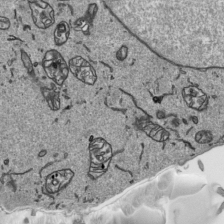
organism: Human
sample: Mitochondria in HCT116 cells